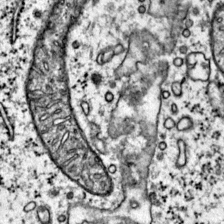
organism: Mouse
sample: Primary visual cortex